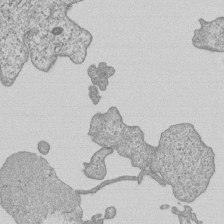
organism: Human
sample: MDA-MB-231 cells